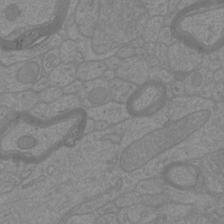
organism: Mouse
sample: Cortical neurons